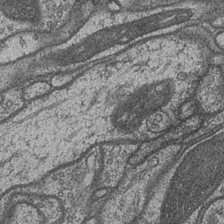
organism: Drosophila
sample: Optic medulla